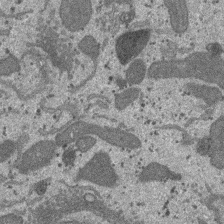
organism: Human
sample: Lung epithelial cells infected with SARS-CoV-2